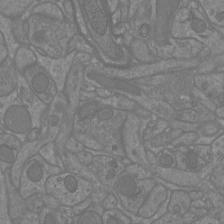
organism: Mouse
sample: Cortical neurons